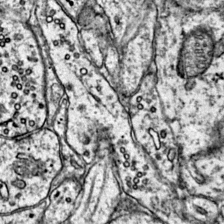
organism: Mouse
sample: Primary visual cortex